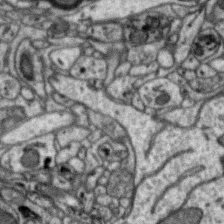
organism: Zebra finch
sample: Brain